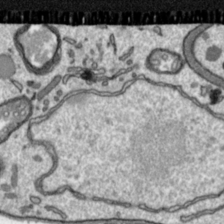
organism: Toxoplasma gondii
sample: Parasites in a vacuole inside a host cell